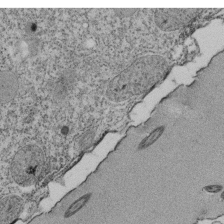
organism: Tetrahymena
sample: Cilia in tetrahymena